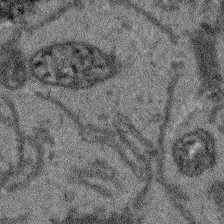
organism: Arabidopsis thaliana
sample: Root tip